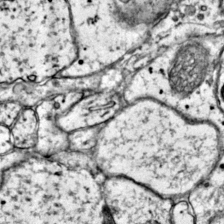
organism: Mouse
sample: Primary visual cortex